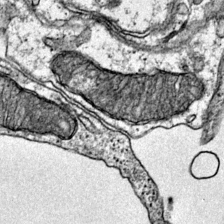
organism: Mouse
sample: Primary visual cortex